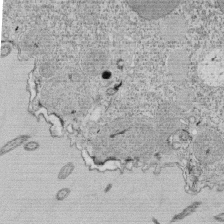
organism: Tetrahymena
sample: Cilia in tetrahymena